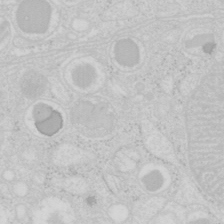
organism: Mouse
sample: Pancreas